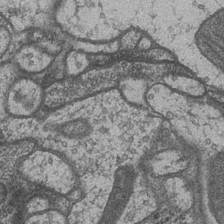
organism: Drosophila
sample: Optic medulla